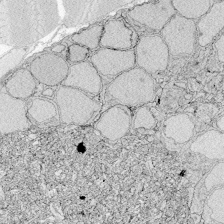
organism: Zebrafish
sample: Whole-Brain